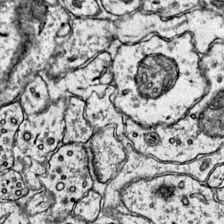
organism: Mouse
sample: Primary visual cortex